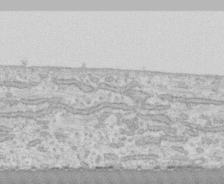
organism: Human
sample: CRL-1474